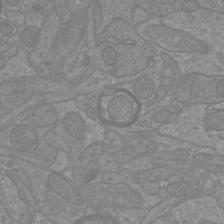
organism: Mouse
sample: Cortical neurons